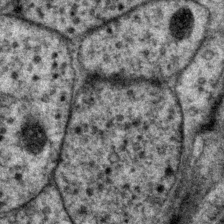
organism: P. pacificus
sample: Pharynx